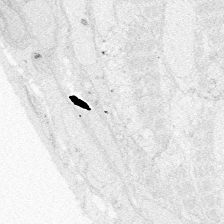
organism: Zebrafish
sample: Whole-Brain